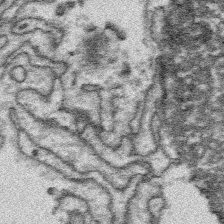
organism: Platynereis dumerilii